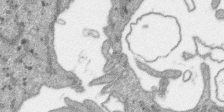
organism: Human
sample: Lung epithelial cells infected with SARS-CoV-2